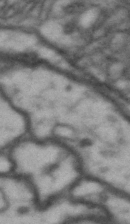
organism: Drosophila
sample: Brain